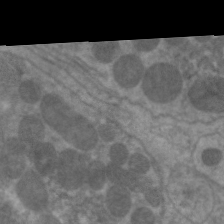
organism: C. elegans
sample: Pharynx